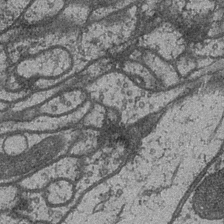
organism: Drosophila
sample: Optic medulla